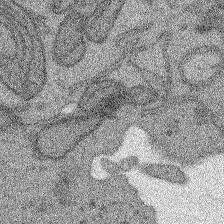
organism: Human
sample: HeLa cells